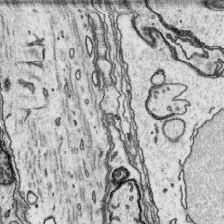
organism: Platynereis dumerilii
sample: Parapodia